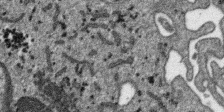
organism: Human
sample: Lung epithelial cells infected with SARS-CoV-2